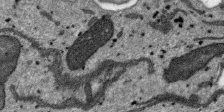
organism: Human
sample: Lung epithelial cells, uninfected (mock) control